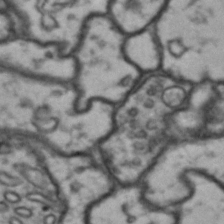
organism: Drosophila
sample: Brain